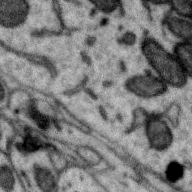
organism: Zebra finch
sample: Brain